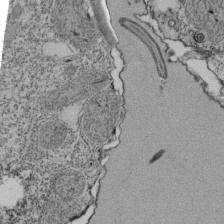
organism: Tetrahymena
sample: Cilia in tetrahymena